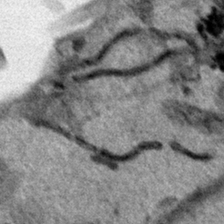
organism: Human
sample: Mitochondria in HCT116 cells